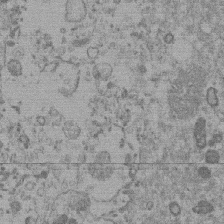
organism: Mouse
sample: Dividing mouse embryo 1 cell stage